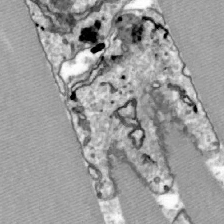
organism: Zebrafish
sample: Actinotrichia fibers